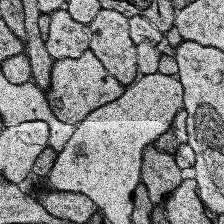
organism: Human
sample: Temporal Lobe